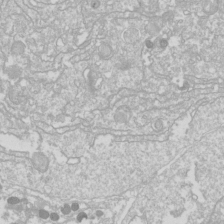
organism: Drosophila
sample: Cell division; meiosis; drosophila spermatocytes